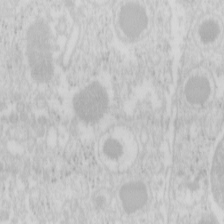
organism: Mouse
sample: Pancreas